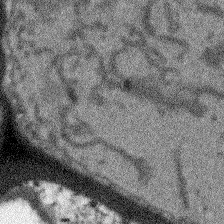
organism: Arabidopsis thaliana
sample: Root tip